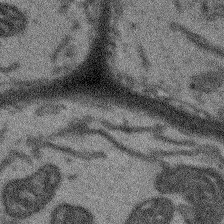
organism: Arabidopsis thaliana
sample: Root tip